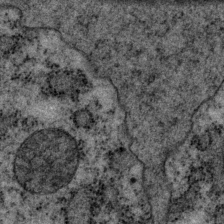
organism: P. pacificus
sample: Pharynx